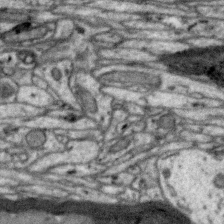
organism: Zebra finch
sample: Brain